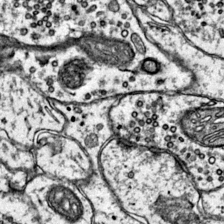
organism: Mouse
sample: Primary visual cortex